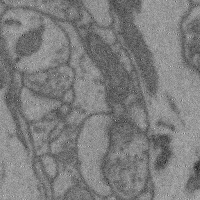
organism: Mouse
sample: Cerebral cortex